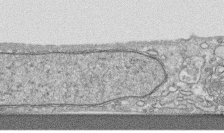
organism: Human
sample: CRL-1474